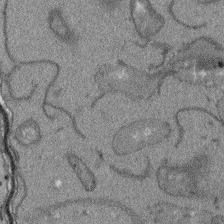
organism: Arabidopsis thaliana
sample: Root tip